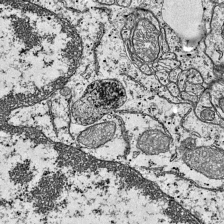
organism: Mouse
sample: Visual Cortex